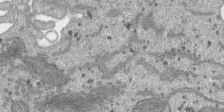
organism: Human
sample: Lung epithelial cells infected with SARS-CoV-2